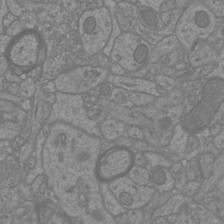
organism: Mouse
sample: Cortical neurons